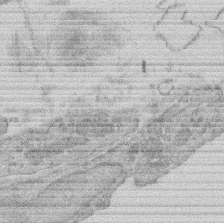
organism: Rat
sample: Salivary granule